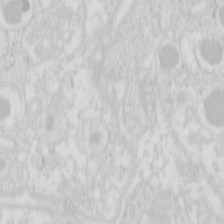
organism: Mouse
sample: Pancreas